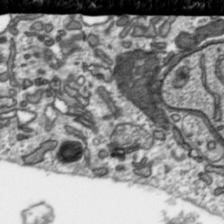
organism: Toxoplasma gondii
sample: Parasites in a vacuole inside a host cell